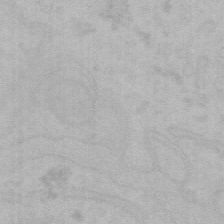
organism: Mouse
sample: Choroid plexus